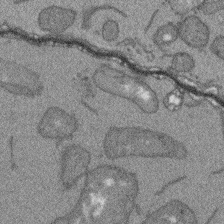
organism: Arabidopsis thaliana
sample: Root tip